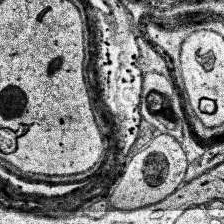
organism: Human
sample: Temporal Lobe